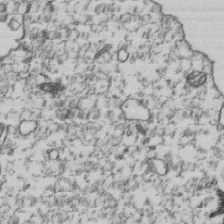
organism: Human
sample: Activated Jurkat CD4+ T cells